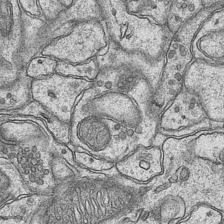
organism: Mouse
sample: CA1 Hippocampus